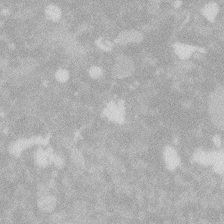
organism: Zebrafish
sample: Macrophage